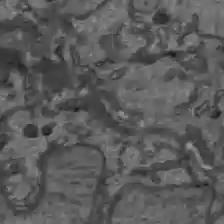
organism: C57BL Mouse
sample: Liver